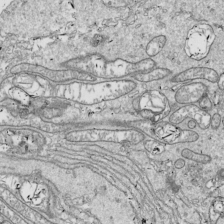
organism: Drosophila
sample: Cell division; meiosis; drosophila spermatocytes